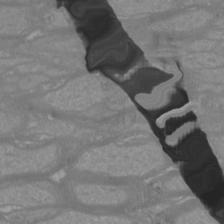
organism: Mouse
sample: Cortical neurons